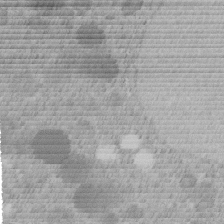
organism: C. elegans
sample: C. elegans embryo early stage